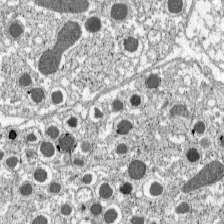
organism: C57BL Mouse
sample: Pancreatic islet